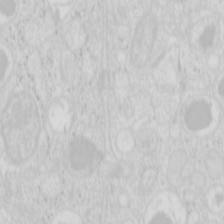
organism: Mouse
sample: Pancreas